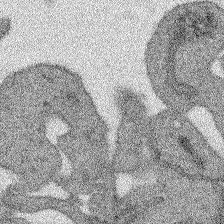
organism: Human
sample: HeLa cells